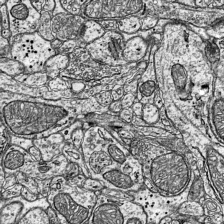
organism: Mouse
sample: Visual Cortex